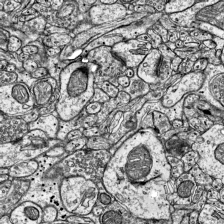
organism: Mouse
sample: Visual Cortex